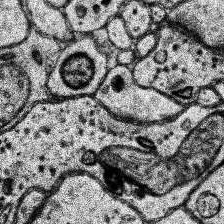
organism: Human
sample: Temporal Lobe